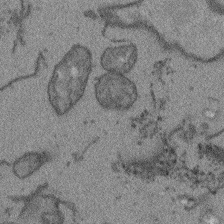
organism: Arabidopsis thaliana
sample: Root tip